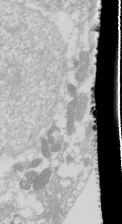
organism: Drosophila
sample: Cell division; meiosis; drosophila spermatocytes